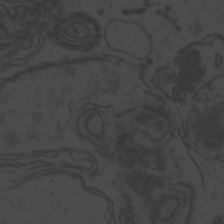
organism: Zebrafish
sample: Macrophage infected with Toxoplasma gondii